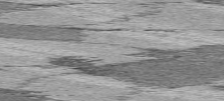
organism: C57BL Mouse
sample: Heart